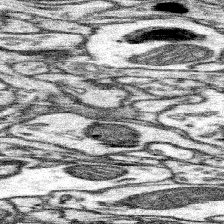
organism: Mouse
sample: Somatosensory cortex neuropil